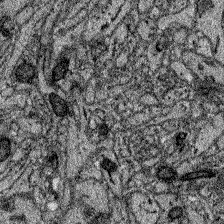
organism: Zebrafish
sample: Larval olfactory bulb